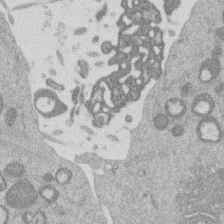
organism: Mouse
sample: Dividing mouse embryo 1 cell stage